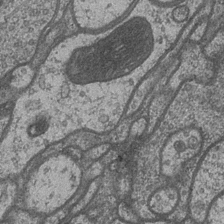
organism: Drosophila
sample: Optic medulla